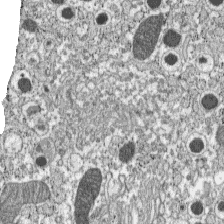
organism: C57BL Mouse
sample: Pancreatic islet